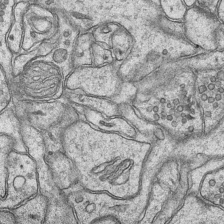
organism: Mouse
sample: CA1 Hippocampus